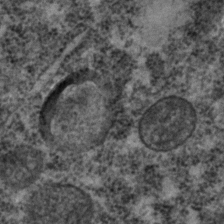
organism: C. elegans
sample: C. elegans embryo